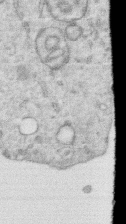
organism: Human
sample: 1205lu cells